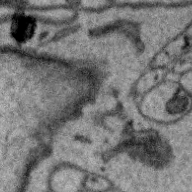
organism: Zebra finch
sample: Brain